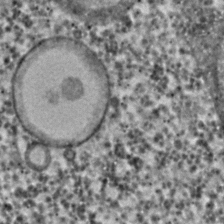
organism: C. elegans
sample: C. elegans embryo